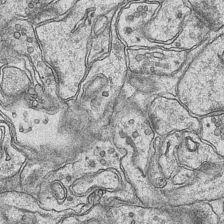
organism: Mouse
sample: CA1 Hippocampus